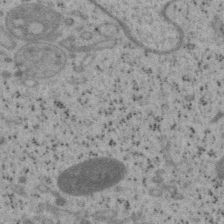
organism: Human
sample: HeLa cells